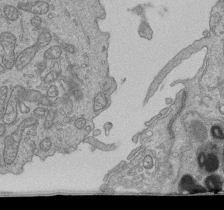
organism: Human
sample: Retinal organoid Rod and Cone cells